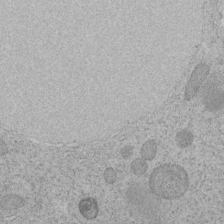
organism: C. elegans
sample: C. elegans embryo early stage